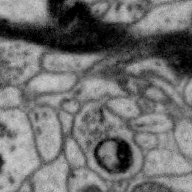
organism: Zebra finch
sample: Brain